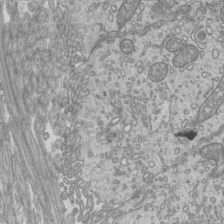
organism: Mouse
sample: Cilia; mouse epididymis